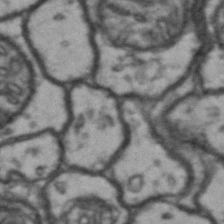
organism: Drosophila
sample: Brain